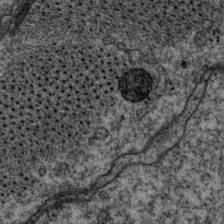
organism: P. pacificus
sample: Pharynx